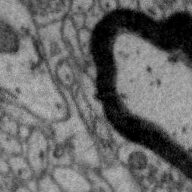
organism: Zebra finch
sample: Brain